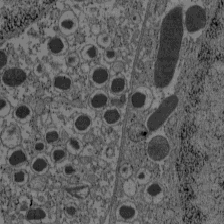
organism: C57BL Mouse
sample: Pancreatic islet